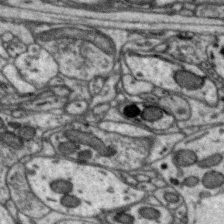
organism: Zebra finch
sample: Brain